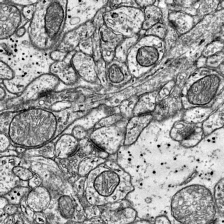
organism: Mouse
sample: Visual Cortex